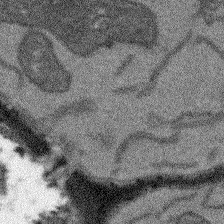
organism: Arabidopsis thaliana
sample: Root tip